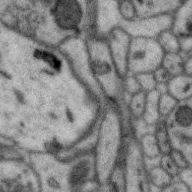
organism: Zebra finch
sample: Brain